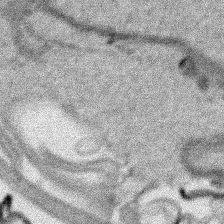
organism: Human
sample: Mitochondria in HCT116 cells